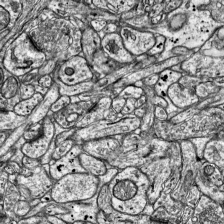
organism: Mouse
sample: Visual Cortex